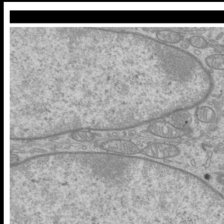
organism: Mouse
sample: Cilia; mouse epididymis